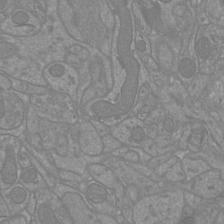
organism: Mouse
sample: Cortical neurons